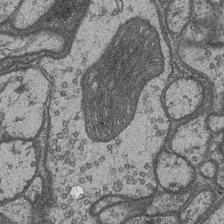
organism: Drosophila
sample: Optic medulla